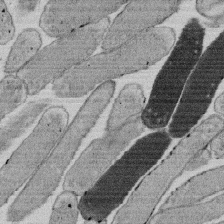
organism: E. coli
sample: Bacterial nucleoid